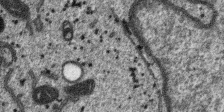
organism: Human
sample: Lung epithelial cells infected with SARS-CoV-2